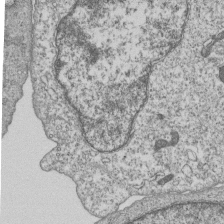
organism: Human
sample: MDA-MB-231 cells